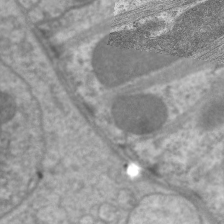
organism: C. elegans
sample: Pharynx